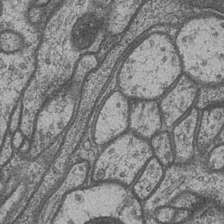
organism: Drosophila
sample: Optic medulla